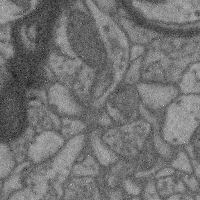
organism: Mouse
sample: Cerebral cortex